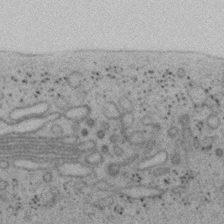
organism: Human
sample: HeLa cells